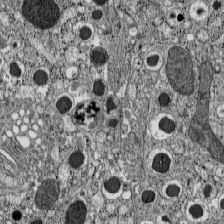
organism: C57BL Mouse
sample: Pancreatic islet